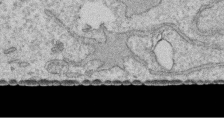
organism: Human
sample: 1205lu cells